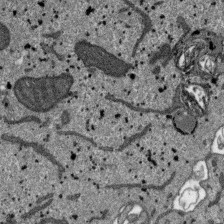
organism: Human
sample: Lung epithelial cells, uninfected (mock) control